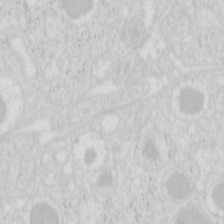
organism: Mouse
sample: Pancreas